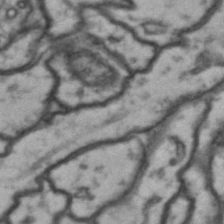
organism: Drosophila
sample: Brain